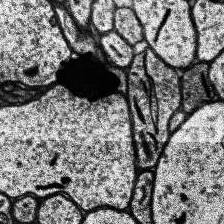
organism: Human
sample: Temporal Lobe